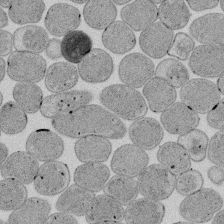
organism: E. coli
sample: Bacterial nucleoid